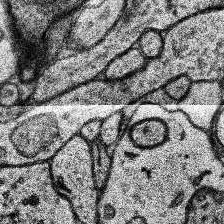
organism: Human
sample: Temporal Lobe